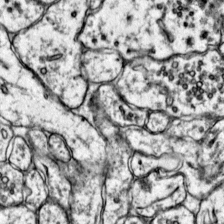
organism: Mouse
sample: Primary visual cortex